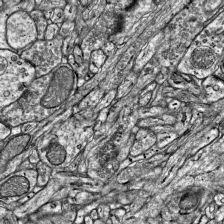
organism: Mouse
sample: Visual Cortex